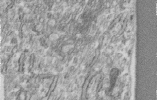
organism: Human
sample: Centriole in RPE cells